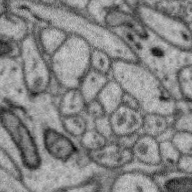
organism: Zebra finch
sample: Brain